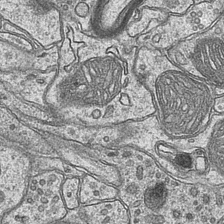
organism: Mouse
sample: CA1 Hippocampus